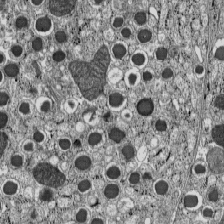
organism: C57BL Mouse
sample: Pancreatic islet